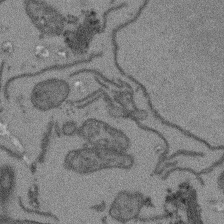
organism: Arabidopsis thaliana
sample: Root tip